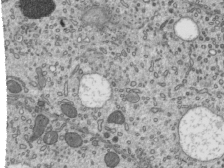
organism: Mouse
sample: Mouse epididymis efferent ductule cilia